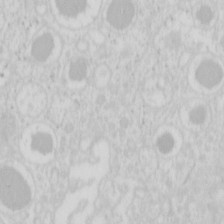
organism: Mouse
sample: Pancreas